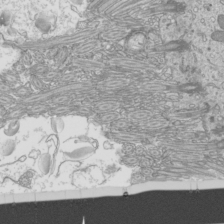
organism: Mouse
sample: Cilia; mouse epididymis